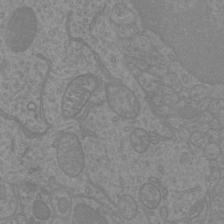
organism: Mouse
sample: Cortical neurons